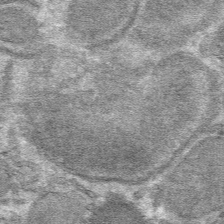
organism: Mouse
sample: Mouse hepatocytes